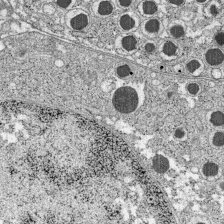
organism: C57BL Mouse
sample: Pancreatic islet